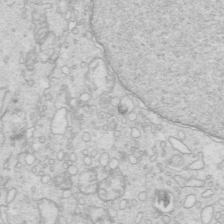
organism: Mouse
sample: Multiciliated cells